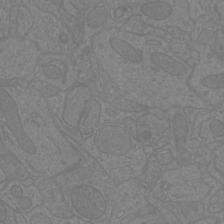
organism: Mouse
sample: Cortical neurons